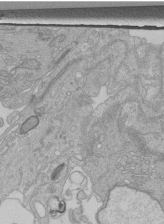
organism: Human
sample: Retinal organoid Rod and Cone cells